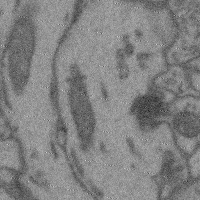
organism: Mouse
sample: Cerebral cortex